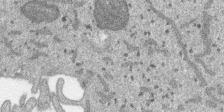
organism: Human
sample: Lung epithelial cells infected with SARS-CoV-2